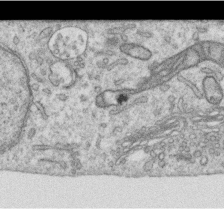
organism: Human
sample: Centriole in RPE cells